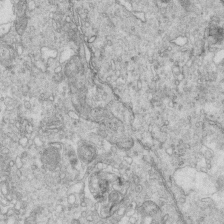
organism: Mouse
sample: Multiciliated cells